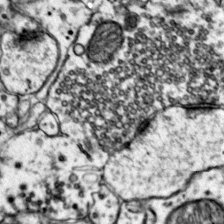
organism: Mouse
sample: Primary visual cortex